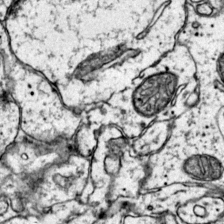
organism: Mouse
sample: Primary visual cortex